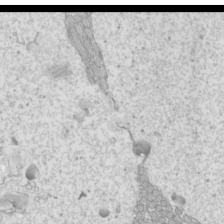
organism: Mouse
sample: Cilia; mouse epididymis